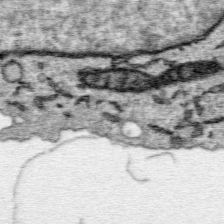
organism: Human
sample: HeLa cells